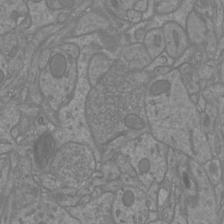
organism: Mouse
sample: Cortical neurons